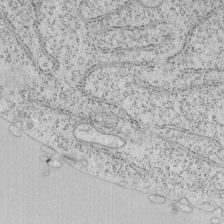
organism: Mouse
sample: OT-I killer T cells with ID8 ovarian cancer cells